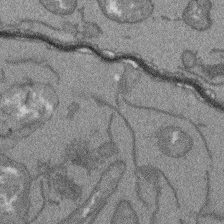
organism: Arabidopsis thaliana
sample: Root tip